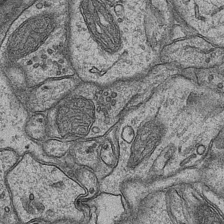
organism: Mouse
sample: CA1 Hippocampus